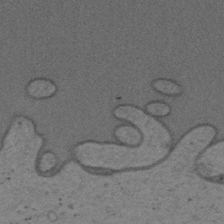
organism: Human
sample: HeLa cells